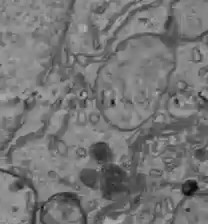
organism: C57BL Mouse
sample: Liver